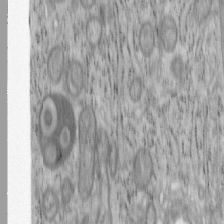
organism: Human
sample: HeLa cells